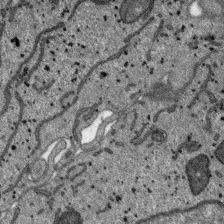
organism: Human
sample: Lung epithelial cells, uninfected (mock) control